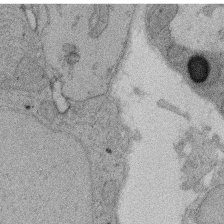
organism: Rat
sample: Salivary granule